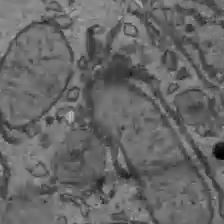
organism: C57BL Mouse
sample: Liver